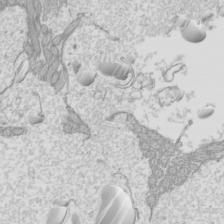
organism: Mouse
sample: Cilia; mouse epididymis